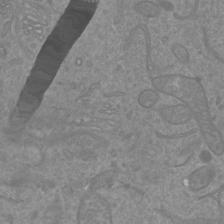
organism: Mouse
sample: Cortical neurons